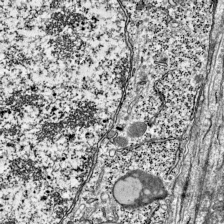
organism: Mouse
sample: Visual Cortex